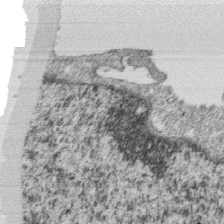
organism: African green monkey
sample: Vero E6 cells infected with SARS-CoV-2